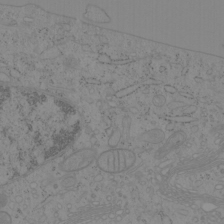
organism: Human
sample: HeLa cells